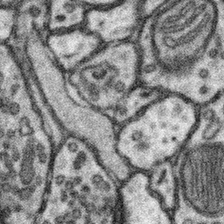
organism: Mouse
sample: Somatosensory cortex neuropil